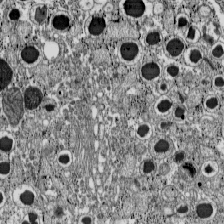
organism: C57BL Mouse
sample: Pancreatic islet